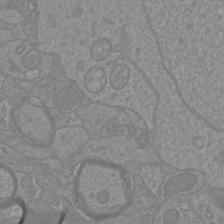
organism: Mouse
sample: Cortical neurons